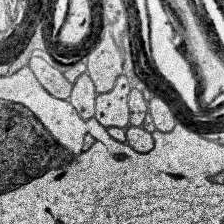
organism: Human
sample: Temporal Lobe